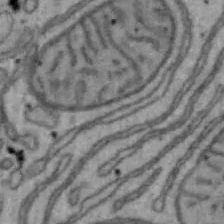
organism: Mouse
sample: Liver